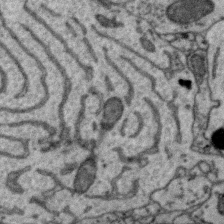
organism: Zebra finch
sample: Brain